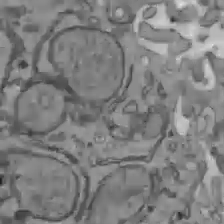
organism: C57BL Mouse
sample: Liver